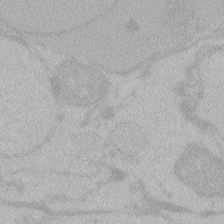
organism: Zebrafish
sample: Macrophage infected with Toxoplasma gondii